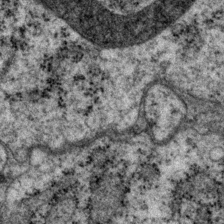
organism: P. pacificus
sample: Pharynx